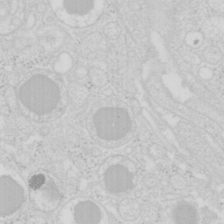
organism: Mouse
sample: Pancreas